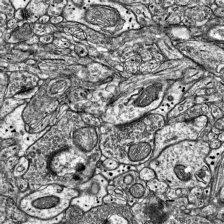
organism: Mouse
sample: Visual Cortex